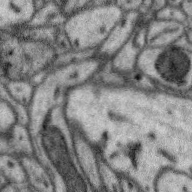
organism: Zebra finch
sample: Brain